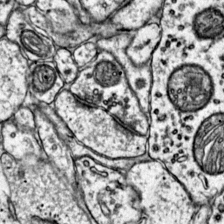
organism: Mouse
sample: Primary visual cortex